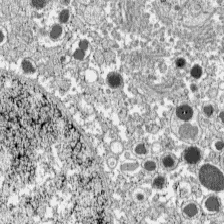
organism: C57BL Mouse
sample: Pancreatic islet